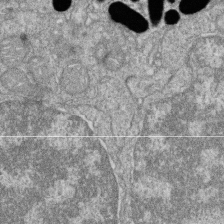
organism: Zebrafish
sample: Cilia; retinal pigment epithelium